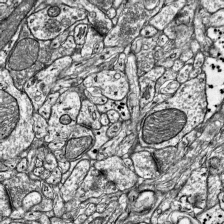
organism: Mouse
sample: Visual Cortex